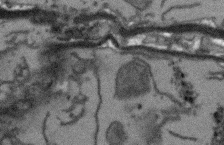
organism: Arabidopsis thaliana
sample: Root tip